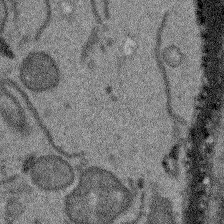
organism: Arabidopsis thaliana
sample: Root tip